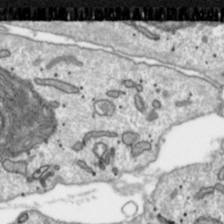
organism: Toxoplasma gondii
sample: Parasites in a vacuole inside a host cell